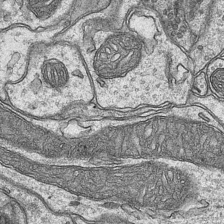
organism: Mouse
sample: CA1 Hippocampus